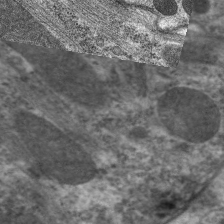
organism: C. elegans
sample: Pharynx